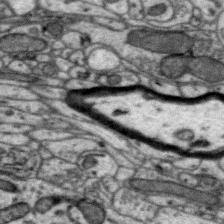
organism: Zebra finch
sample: Brain